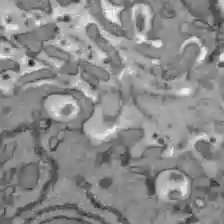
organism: C57BL Mouse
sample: Liver